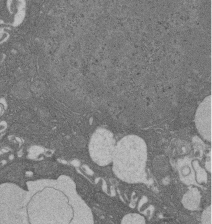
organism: Rat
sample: Salivary granule